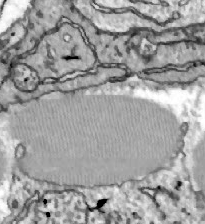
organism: Zebrafish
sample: Actinotrichia fibers